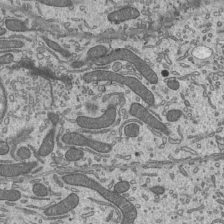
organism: Mouse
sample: Mouse epididymis efferent ductule cilia